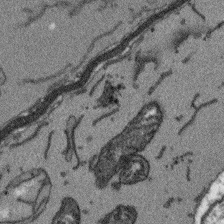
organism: Arabidopsis thaliana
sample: Root tip